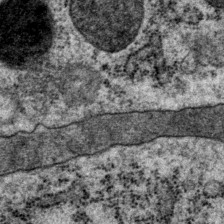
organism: P. pacificus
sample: Pharynx